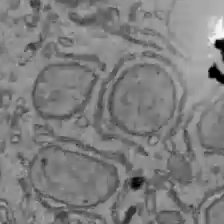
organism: C57BL Mouse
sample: Liver